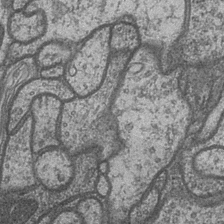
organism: Drosophila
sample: Optic medulla